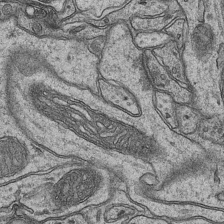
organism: Mouse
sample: CA1 Hippocampus